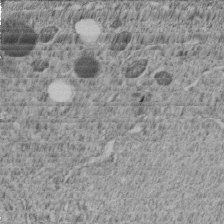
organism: C. elegans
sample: C. elegans embryo early stage